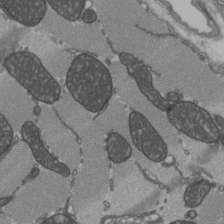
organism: C57BL Mouse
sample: Heart